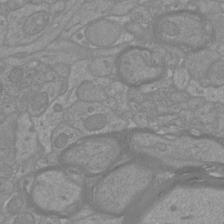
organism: Mouse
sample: Cortical neurons